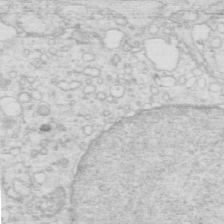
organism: Mouse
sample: Multiciliated cells